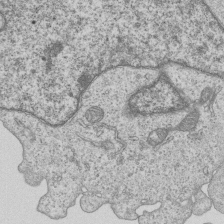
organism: Human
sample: MDA-MB-231 cells